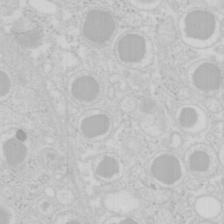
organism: Mouse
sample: Pancreas